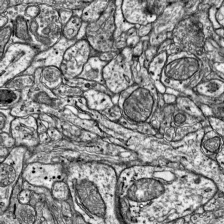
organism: Mouse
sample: Visual Cortex